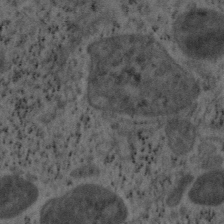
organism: Human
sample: HeLa cells